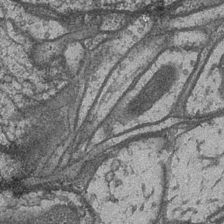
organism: Drosophila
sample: Optic medulla